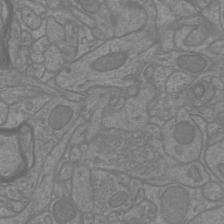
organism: Mouse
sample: Cortical neurons